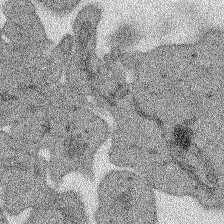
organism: Human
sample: HeLa cells